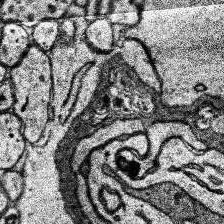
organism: Human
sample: Temporal Lobe